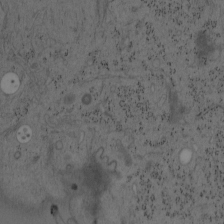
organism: Mouse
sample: OT-I killer T cells with ID8 ovarian cancer cells